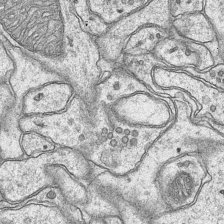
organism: Mouse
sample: CA1 Hippocampus